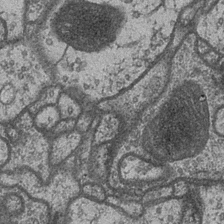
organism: Drosophila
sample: Optic medulla